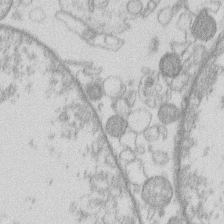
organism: Human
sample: Macrophage cells